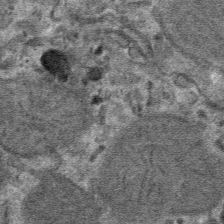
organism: Mouse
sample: Mouse hepatocytes